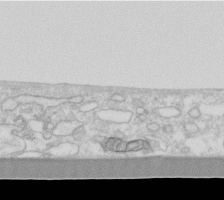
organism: Human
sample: Fibroblast cells